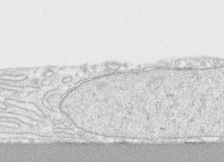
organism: Human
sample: CRL-1474